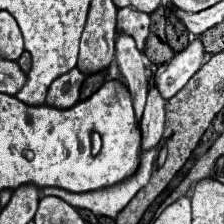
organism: Human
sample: Temporal Lobe